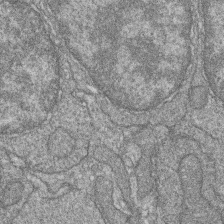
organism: Zebrafish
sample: Cilia; retinal pigment epithelium